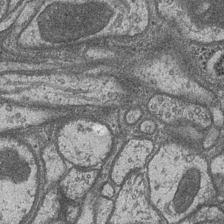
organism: Drosophila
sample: Optic medulla